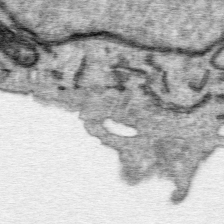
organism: Human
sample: HeLa cells